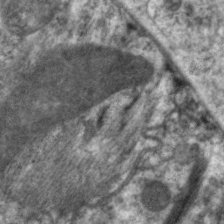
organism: C. elegans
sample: Pharynx